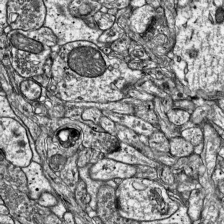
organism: Mouse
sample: Visual Cortex